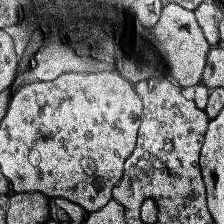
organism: Human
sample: Temporal Lobe